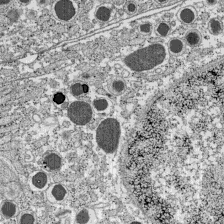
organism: C57BL Mouse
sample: Pancreatic islet